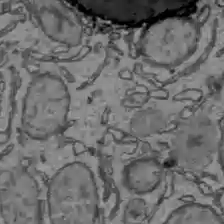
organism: C57BL Mouse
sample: Liver